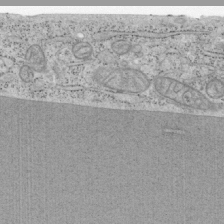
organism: Human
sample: HeLa cells